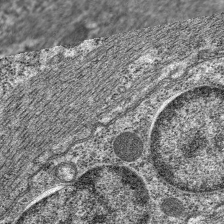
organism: C. elegans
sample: Pharynx